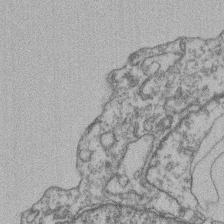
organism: Mouse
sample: T cell stromal cell synapse